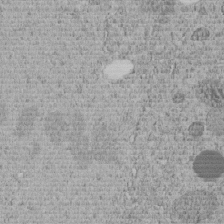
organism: C. elegans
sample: C. elegans embryo early stage